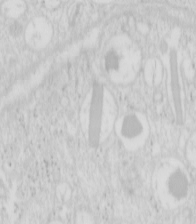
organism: Mouse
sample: Pancreas